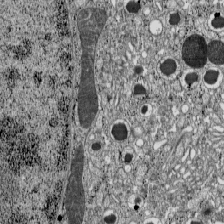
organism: C57BL Mouse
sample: Pancreatic islet